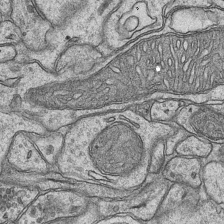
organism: Mouse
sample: CA1 Hippocampus